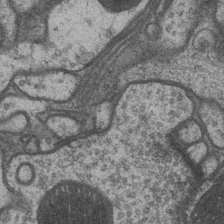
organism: Drosophila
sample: Optic medulla